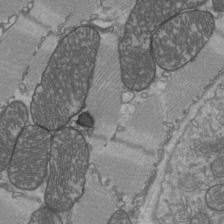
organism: C57BL Mouse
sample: Heart